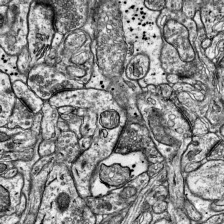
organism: Mouse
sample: Visual Cortex